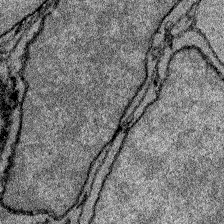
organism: Zebrafish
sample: Larval olfactory bulb